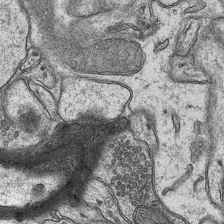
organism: Mouse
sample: CA1 Hippocampus